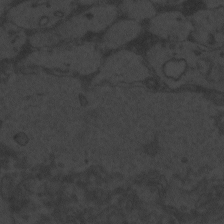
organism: Zebrafish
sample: Macrophage infected with Toxoplasma gondii